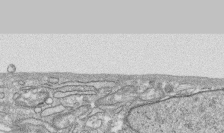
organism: Human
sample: CRL-1474